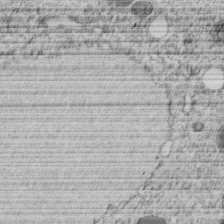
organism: C. elegans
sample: C. elegans embryo early stage